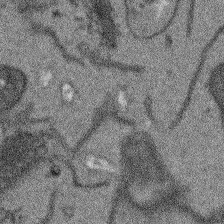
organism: Arabidopsis thaliana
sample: Root tip